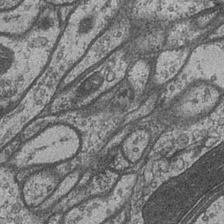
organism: Drosophila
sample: Optic medulla